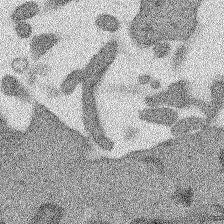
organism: Human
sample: HeLa cells